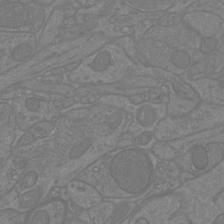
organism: Mouse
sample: Cortical neurons